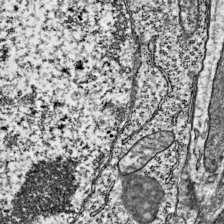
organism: Mouse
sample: Visual Cortex